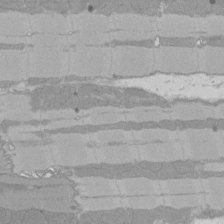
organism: Rat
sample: Left ventricle